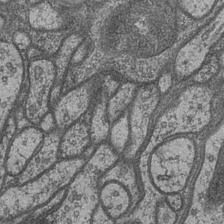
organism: Drosophila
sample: Optic medulla